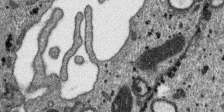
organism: Human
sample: Lung epithelial cells infected with SARS-CoV-2